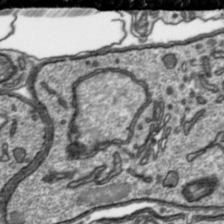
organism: Toxoplasma gondii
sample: Parasites in a vacuole inside a host cell